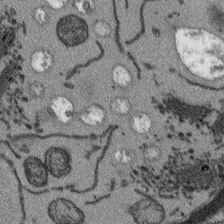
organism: Arabidopsis thaliana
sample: Root tip